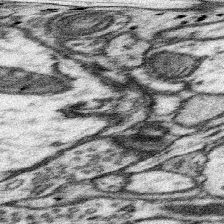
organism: Mouse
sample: Somatosensory cortex neuropil